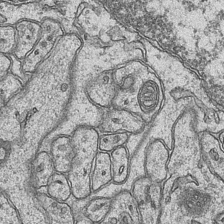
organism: Mouse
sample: CA1 Hippocampus